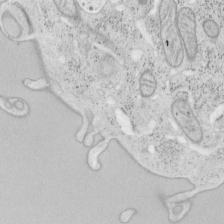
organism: Mouse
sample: OT-I killer T cells with ID8 ovarian cancer cells